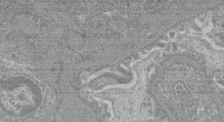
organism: Mouse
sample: Glomerulus